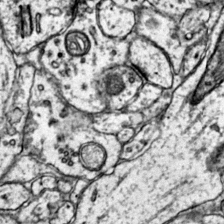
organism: Mouse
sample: Primary visual cortex